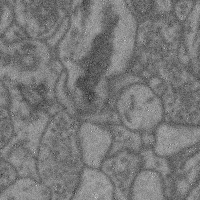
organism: Mouse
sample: Cerebral cortex